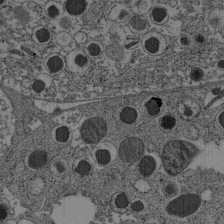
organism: C57BL Mouse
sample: Pancreatic islet